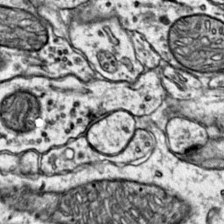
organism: Mouse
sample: Primary visual cortex